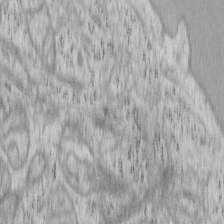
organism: Human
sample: HeLa cells